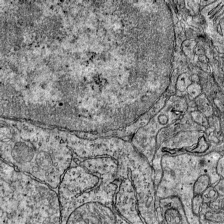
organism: Mouse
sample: Visual Cortex